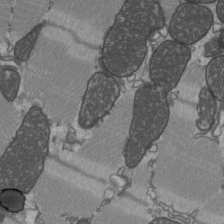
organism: C57BL Mouse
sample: Heart